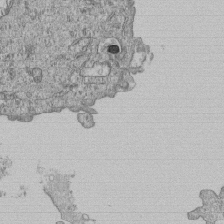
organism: Human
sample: MDA-MB-231 cells